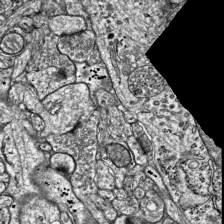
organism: Mouse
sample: Visual Cortex